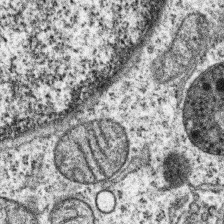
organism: Human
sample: HeLa cells